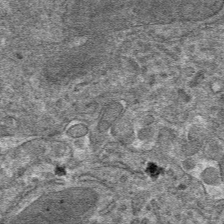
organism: Mouse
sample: Mouse hepatocytes